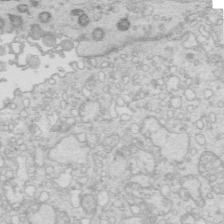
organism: Mouse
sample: Multiciliated cells